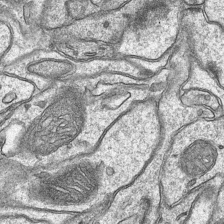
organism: Mouse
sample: CA1 Hippocampus